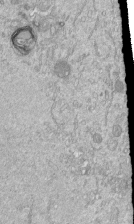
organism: Mouse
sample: ED-1 cell nuclei; centrioles